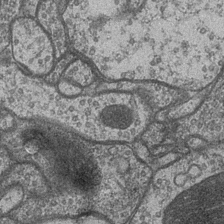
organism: Drosophila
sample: Optic medulla